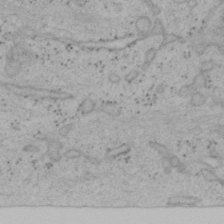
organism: Human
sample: HeLa cells